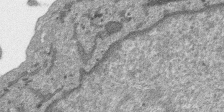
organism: Human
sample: Lung epithelial cells infected with SARS-CoV-2